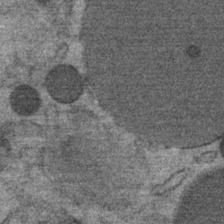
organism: Mouse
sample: Mouse Salivary gland